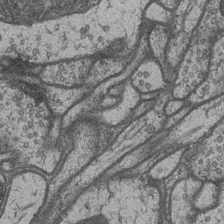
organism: Drosophila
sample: Optic medulla